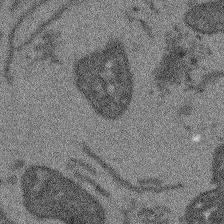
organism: Arabidopsis thaliana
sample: Root tip